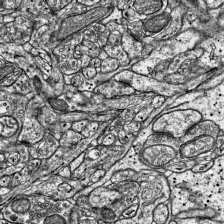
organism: Mouse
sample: Visual Cortex